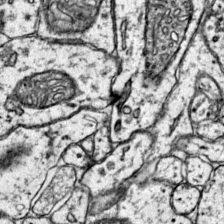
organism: Mouse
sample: Primary visual cortex